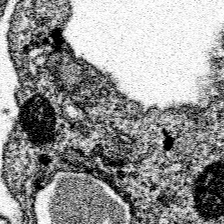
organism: Spongilla lacustris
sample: Neuroid cell